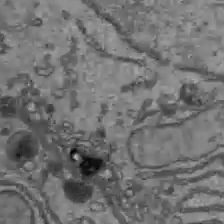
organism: C57BL Mouse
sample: Liver